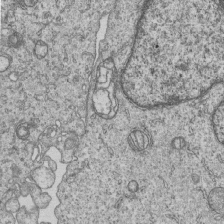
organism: Human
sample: MDA-MB-231 cells